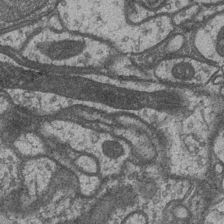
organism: Drosophila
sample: Optic medulla